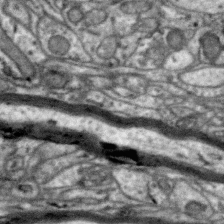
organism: Zebra finch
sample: Brain